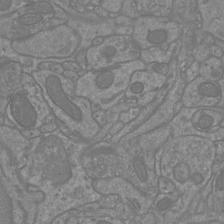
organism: Mouse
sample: Cortical neurons